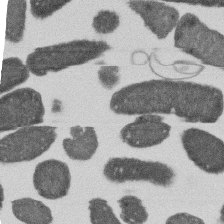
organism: E. coli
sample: Bacterial nucleoid